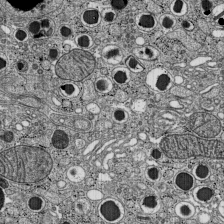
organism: C57BL Mouse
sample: Pancreatic islet